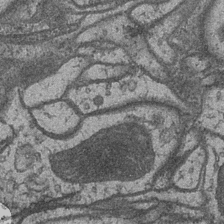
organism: Drosophila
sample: Optic medulla